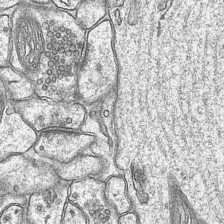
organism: Mouse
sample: CA1 Hippocampus